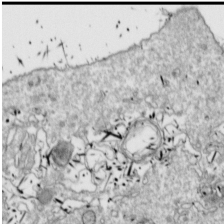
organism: Drosophila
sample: Cell division; meiosis; drosophila spermatocytes